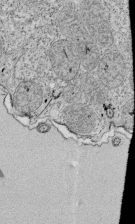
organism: Tetrahymena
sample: Cilia in tetrahymena